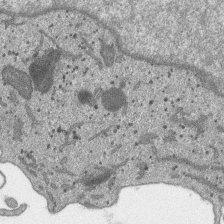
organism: Human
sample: Lung epithelial cells infected with SARS-CoV-2